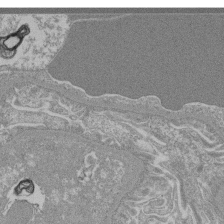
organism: Mouse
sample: Glomerulus